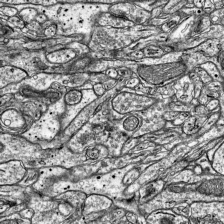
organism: Mouse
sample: Visual Cortex